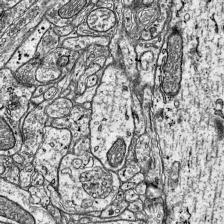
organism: Mouse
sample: Visual Cortex